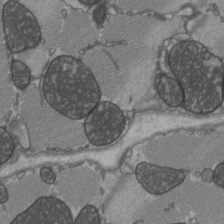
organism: C57BL Mouse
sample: Heart